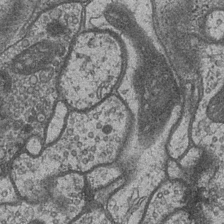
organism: Drosophila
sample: Optic medulla